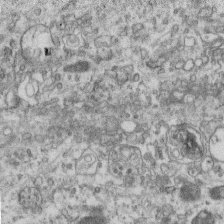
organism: Mouse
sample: Centriole in ependymal cells